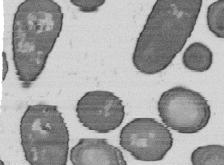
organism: B. subtilis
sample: Bacterial spore